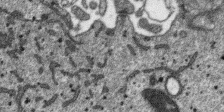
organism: Human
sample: Lung epithelial cells infected with SARS-CoV-2